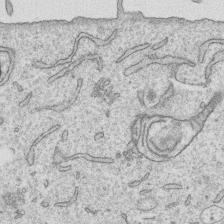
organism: Human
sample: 1205lu cells